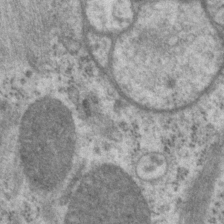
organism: P. pacificus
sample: Pharynx